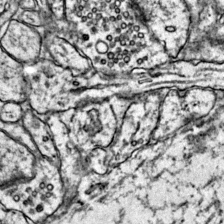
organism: Mouse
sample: Primary visual cortex